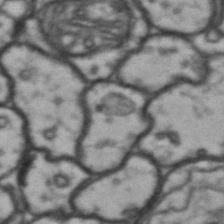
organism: Drosophila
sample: Brain